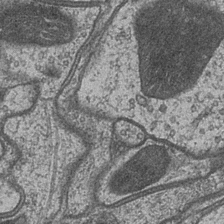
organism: Drosophila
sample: Optic medulla